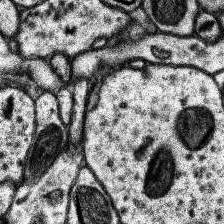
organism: Human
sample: Temporal Lobe